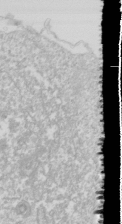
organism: Drosophila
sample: Cell division; meiosis; drosophila spermatocytes